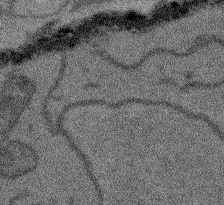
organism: Arabidopsis thaliana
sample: Root tip